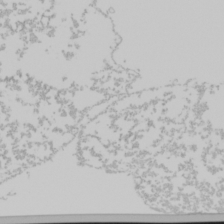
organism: Mouse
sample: Cancer cell death in ED-1 cells